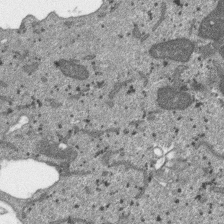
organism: Human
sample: Lung epithelial cells infected with SARS-CoV-2